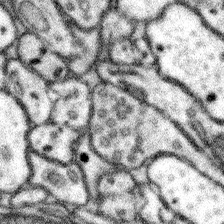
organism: Mouse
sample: Somatosensory cortex neuropil